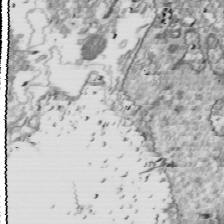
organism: Drosophila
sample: Cell division; meiosis; drosophila spermatocytes